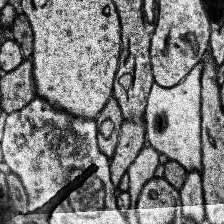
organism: Human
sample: Temporal Lobe